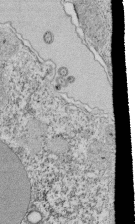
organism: Tetrahymena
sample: Cilia in tetrahymena